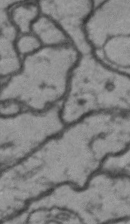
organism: Drosophila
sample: Brain